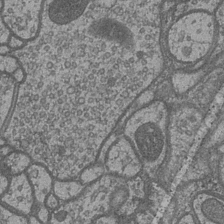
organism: Drosophila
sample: Optic medulla